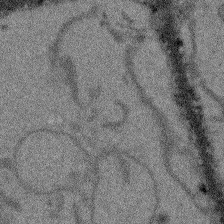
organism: Arabidopsis thaliana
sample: Root tip